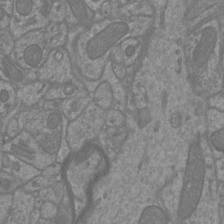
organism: Mouse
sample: Cortical neurons